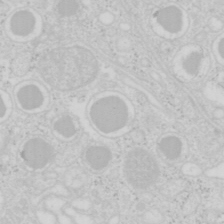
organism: Mouse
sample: Pancreas